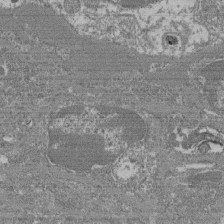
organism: Mouse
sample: Glomerulus